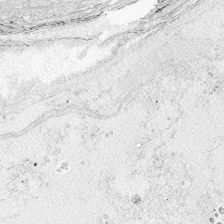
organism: Zebrafish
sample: Whole-Brain